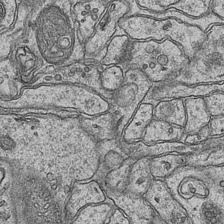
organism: Mouse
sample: CA1 Hippocampus